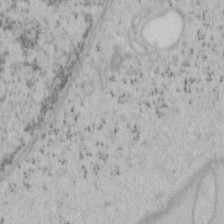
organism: Human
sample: HeLa cells